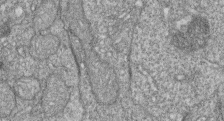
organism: Zebrafish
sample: Cilia; retinal pigment epithelium